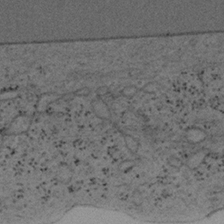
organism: Human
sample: HeLa cells